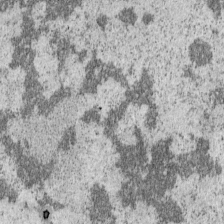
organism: Mouse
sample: OT-I killer T cells with ID8 ovarian cancer cells